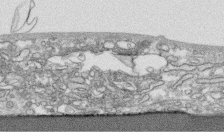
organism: Human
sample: CRL-1474